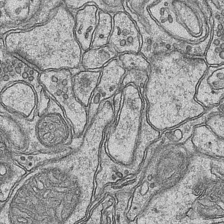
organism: Mouse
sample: CA1 Hippocampus